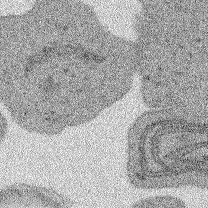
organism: Human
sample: HeLa cells